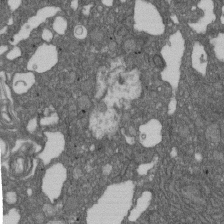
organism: Drosophila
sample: Nephrocyte